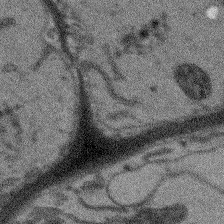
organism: Arabidopsis thaliana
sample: Root tip